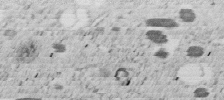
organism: C. elegans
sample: C. elegans embryo early stage